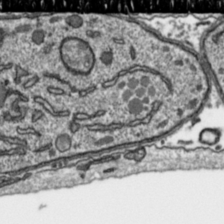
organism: Toxoplasma gondii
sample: Parasites in a vacuole inside a host cell